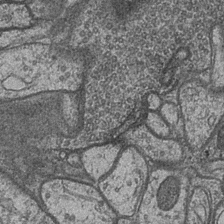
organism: Drosophila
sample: Optic medulla